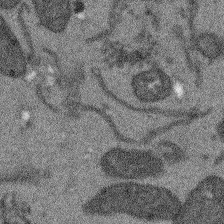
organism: Arabidopsis thaliana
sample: Root tip